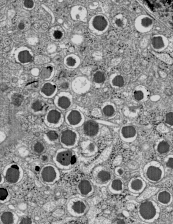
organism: C57BL Mouse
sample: Pancreatic islet